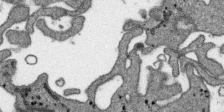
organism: Human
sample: Lung epithelial cells, uninfected (mock) control